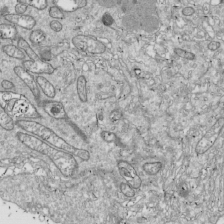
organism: Drosophila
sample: Cell division; meiosis; drosophila spermatocytes